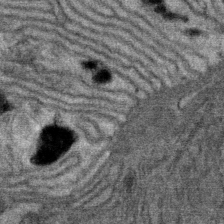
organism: Mouse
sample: Mouse Salivary gland